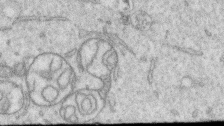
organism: Human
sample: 1205lu cells